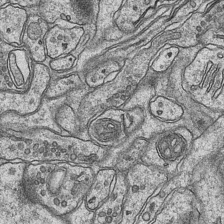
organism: Mouse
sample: CA1 Hippocampus